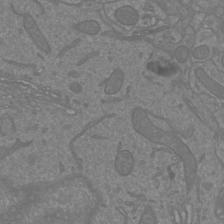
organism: Mouse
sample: Cortical neurons